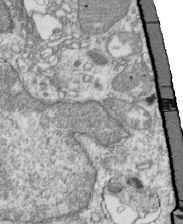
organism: Mouse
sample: Activated OT-1 CD8+ T cells